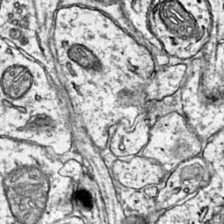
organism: Mouse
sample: Primary visual cortex